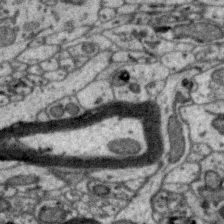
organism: Zebra finch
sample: Brain